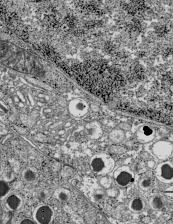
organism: C57BL Mouse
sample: Pancreatic islet